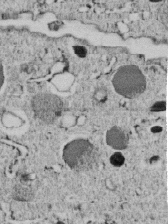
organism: C. elegans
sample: C. elegans embryo early stage